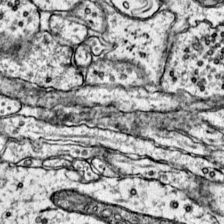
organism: Mouse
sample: Primary visual cortex